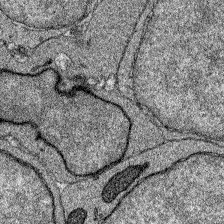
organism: Zebrafish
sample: Larval olfactory bulb